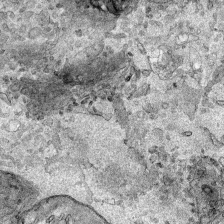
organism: Human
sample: Mitochondria in HCT116 cells